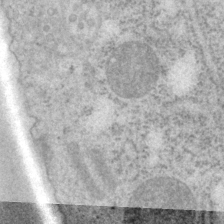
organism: P. pacificus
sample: Pharynx